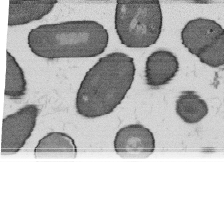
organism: B. subtilis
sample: Bacterial spore